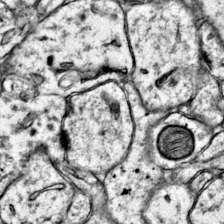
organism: Mouse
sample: Primary visual cortex